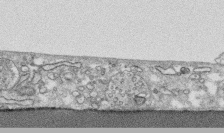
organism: Human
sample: CRL-1474